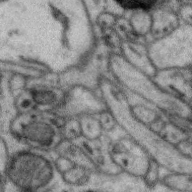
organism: Zebra finch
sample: Brain